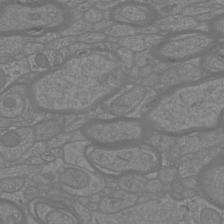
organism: Mouse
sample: Cortical neurons